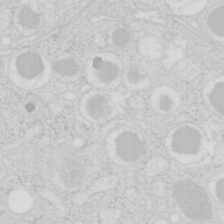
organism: Mouse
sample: Pancreas